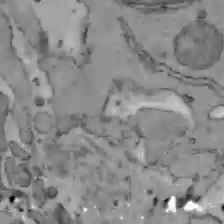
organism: C57BL Mouse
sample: Liver